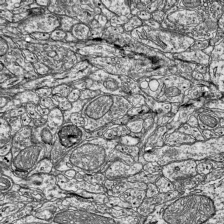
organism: Mouse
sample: Visual Cortex